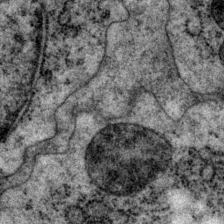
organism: P. pacificus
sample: Pharynx